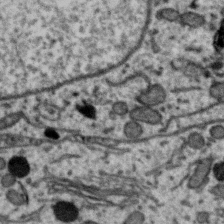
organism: Zebra finch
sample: Brain